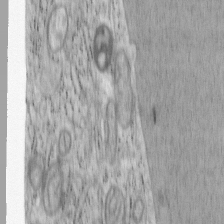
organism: Human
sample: HeLa cells